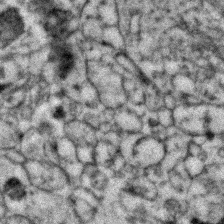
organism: Zebrafish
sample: Zebrafish embryo